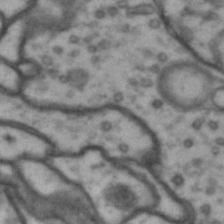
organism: Drosophila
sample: Brain